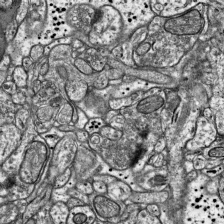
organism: Mouse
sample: Visual Cortex